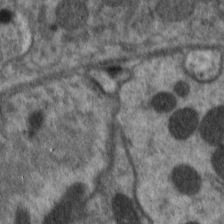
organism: C. elegans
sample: Pharynx